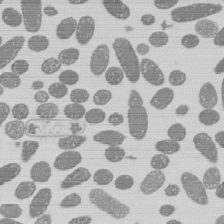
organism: E. coli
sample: Bacterial nucleoid